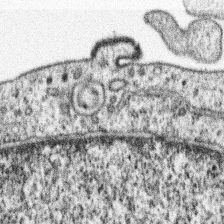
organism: Human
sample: HeLa cells